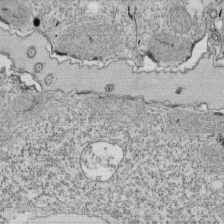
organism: Tetrahymena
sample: Cilia in tetrahymena